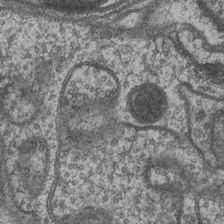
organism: Drosophila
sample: Optic medulla